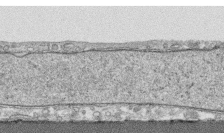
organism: Human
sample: CRL-1474